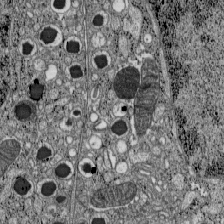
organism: C57BL Mouse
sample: Pancreatic islet